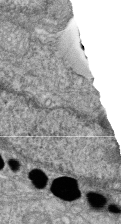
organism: Zebrafish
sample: Cilia; retinal pigment epithelium